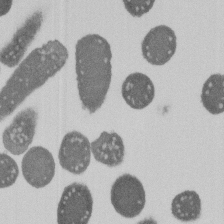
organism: E. coli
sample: Bacterial nucleoid